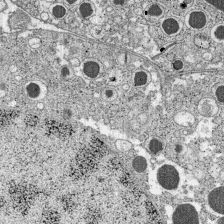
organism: C57BL Mouse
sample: Pancreatic islet